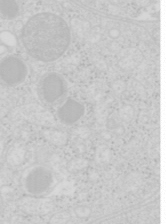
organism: Mouse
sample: Pancreas